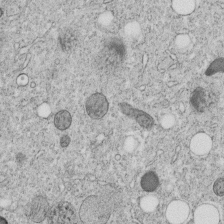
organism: C. elegans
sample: C. elegans embryo early stage